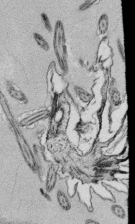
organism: Tetrahymena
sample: Cilia in tetrahymena